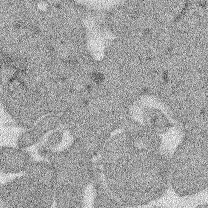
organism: Human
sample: HeLa cells